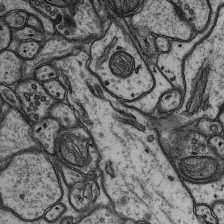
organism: Rat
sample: Hippocampus